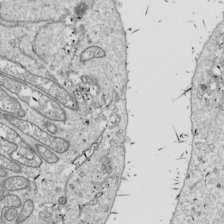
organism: Drosophila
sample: Cell division; meiosis; drosophila spermatocytes